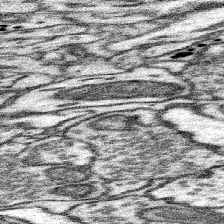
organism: Mouse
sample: Somatosensory cortex neuropil